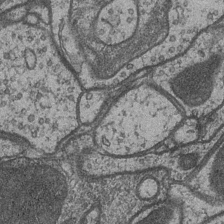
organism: Drosophila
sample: Optic medulla